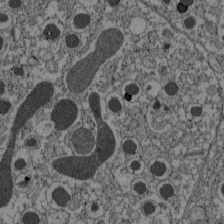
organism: C57BL Mouse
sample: Pancreatic islet